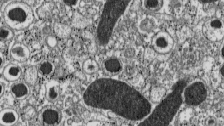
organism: C57BL Mouse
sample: Pancreatic islet